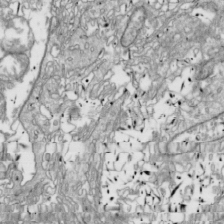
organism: Drosophila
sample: Cell division; meiosis; drosophila spermatocytes